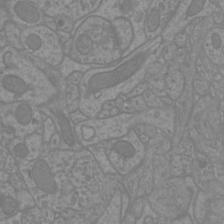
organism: Mouse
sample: Cortical neurons